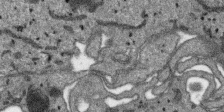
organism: Human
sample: Lung epithelial cells, uninfected (mock) control